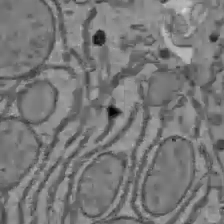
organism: C57BL Mouse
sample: Liver